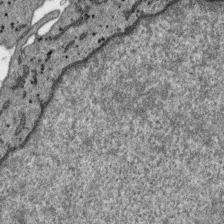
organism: Human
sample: Lung epithelial cells, uninfected (mock) control